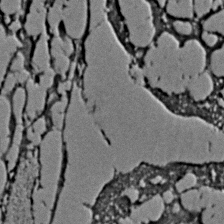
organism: C. elegans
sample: C. elegans embryo